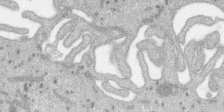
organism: Human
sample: Lung epithelial cells infected with SARS-CoV-2